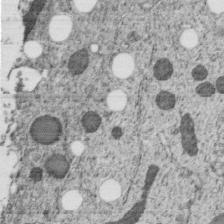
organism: C. elegans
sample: C. elegans embryo early stage